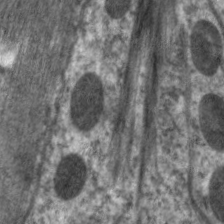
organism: C. elegans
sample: Pharynx